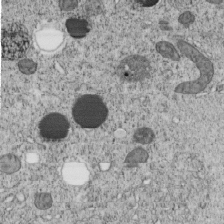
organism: C. elegans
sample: C. elegans embryo early stage